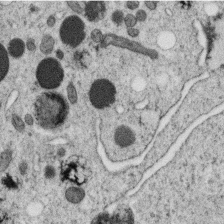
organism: C. elegans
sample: C. elegans oocyte; sperm cells